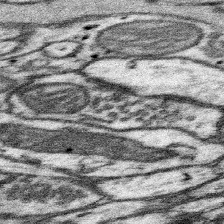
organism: Mouse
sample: Somatosensory cortex neuropil